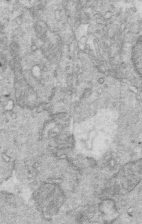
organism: Mouse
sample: Multiciliated cells